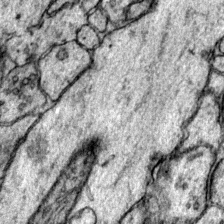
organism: Mouse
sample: Primary visual cortex